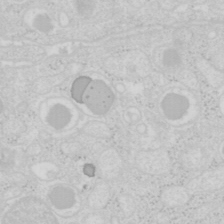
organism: Mouse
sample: Pancreas